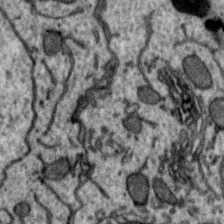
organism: Zebra finch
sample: Brain